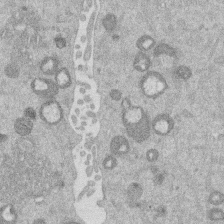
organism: Mouse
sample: Dividing mouse embryo 1 cell stage